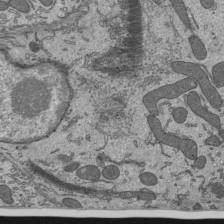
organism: Mouse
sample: Mouse epididymis efferent ductule cilia